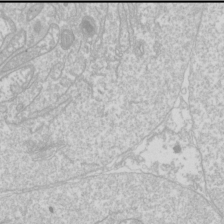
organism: Drosophila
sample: Cell division; meiosis; drosophila spermatocytes